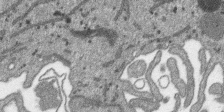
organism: Human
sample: Lung epithelial cells infected with SARS-CoV-2